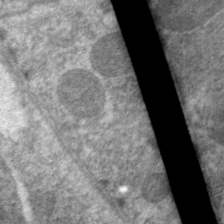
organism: C. elegans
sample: Pharynx